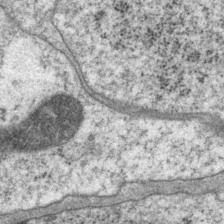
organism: P. pacificus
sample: Pharynx